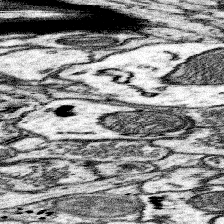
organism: Mouse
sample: Somatosensory cortex neuropil